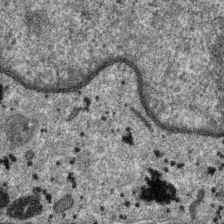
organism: Human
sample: Lung epithelial cells infected with SARS-CoV-2